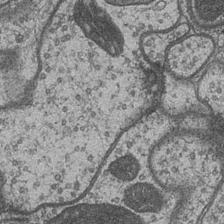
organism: Drosophila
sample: Optic medulla